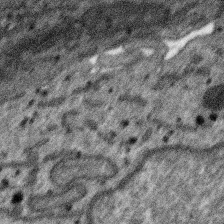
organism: Human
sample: Lung epithelial cells infected with SARS-CoV-2